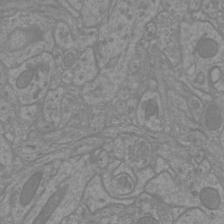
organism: Mouse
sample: Cortical neurons